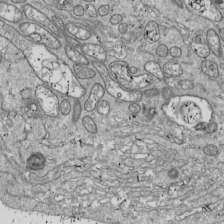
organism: Drosophila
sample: Cell division; meiosis; drosophila spermatocytes